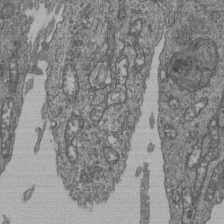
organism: Human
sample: Retinal organoid Rod and Cone cells